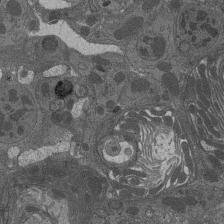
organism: Drosophila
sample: Antenna